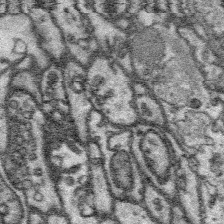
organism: Platynereis dumerilii